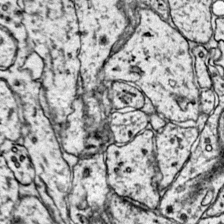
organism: Mouse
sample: Primary visual cortex